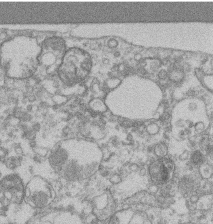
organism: Mouse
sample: T cell stromal cell synapse